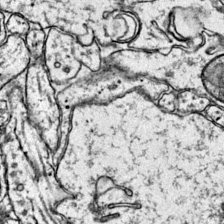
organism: Mouse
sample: Primary visual cortex